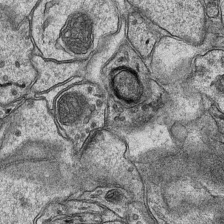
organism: Mouse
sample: CA1 Hippocampus